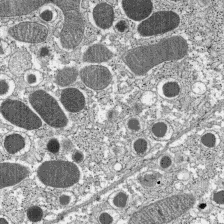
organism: C57BL Mouse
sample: Pancreatic islet